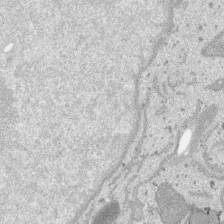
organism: Human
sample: Lung epithelial cells infected with SARS-CoV-2